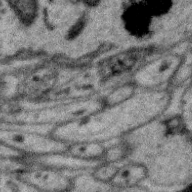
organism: Zebra finch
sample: Brain